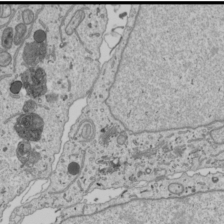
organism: Human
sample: Mitochondria in U2OS cells